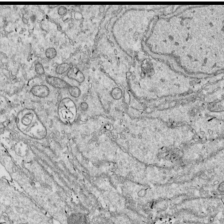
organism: Drosophila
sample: Cell division; meiosis; drosophila spermatocytes